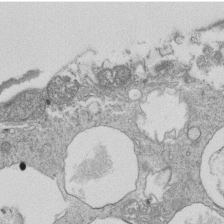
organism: Tetrahymena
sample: Cilia in tetrahymena